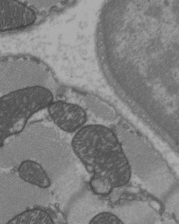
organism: C57BL Mouse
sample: Heart